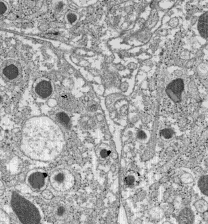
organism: C57BL Mouse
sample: Pancreatic islet